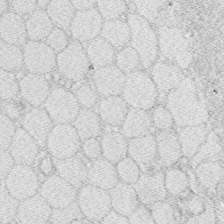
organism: Zebrafish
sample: Whole-Brain